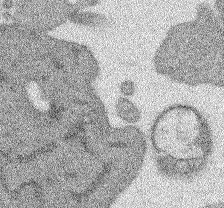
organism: Human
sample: HeLa cells